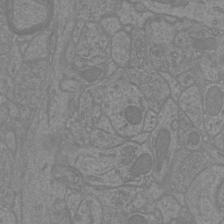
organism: Mouse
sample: Cortical neurons